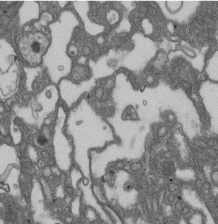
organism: Drosophila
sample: Nephrocyte